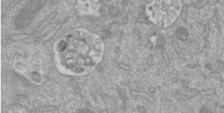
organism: Mouse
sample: ED-1 cell nuclei; centrioles